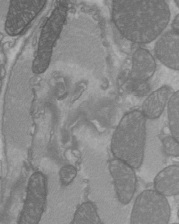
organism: C57BL Mouse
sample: Heart